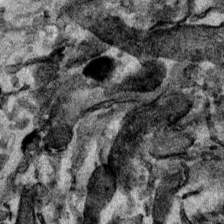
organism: Mouse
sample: Cancer cell death in ED-1 cells